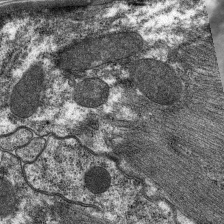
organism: C. elegans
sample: Pharynx